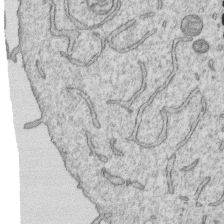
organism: Human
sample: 1205lu cells